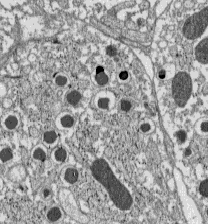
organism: C57BL Mouse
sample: Pancreatic islet